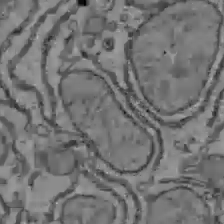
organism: C57BL Mouse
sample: Liver